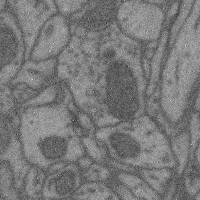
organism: Mouse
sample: Cerebral cortex